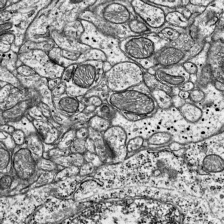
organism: Mouse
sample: Visual Cortex